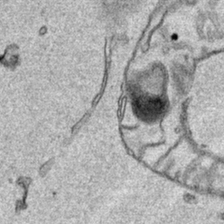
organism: Human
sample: Mitochondria in HCT116 cells